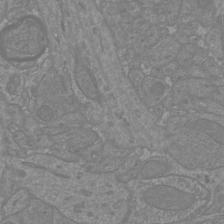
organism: Mouse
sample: Cortical neurons